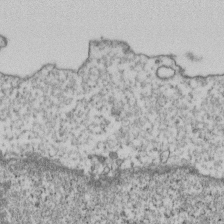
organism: Human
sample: Activated Jurkat CD4+ T cells